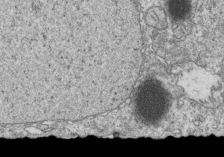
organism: Human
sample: HeLa cell HIV synapse